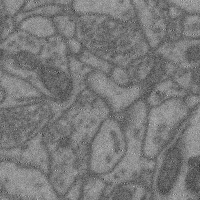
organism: Mouse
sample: Cerebral cortex